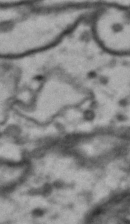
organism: Drosophila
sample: Brain